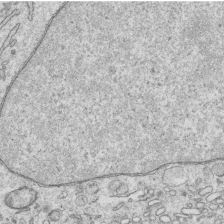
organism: Human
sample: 1205lu cells